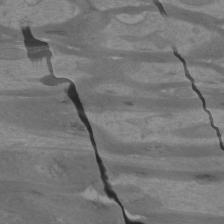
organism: Mouse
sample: Cortical neurons